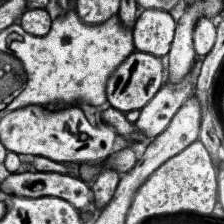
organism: Human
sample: Temporal Lobe